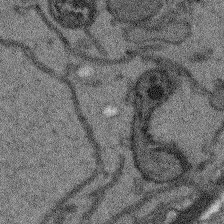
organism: Arabidopsis thaliana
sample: Root tip